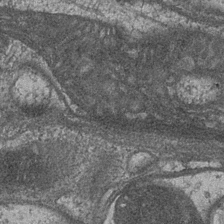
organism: Drosophila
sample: Optic medulla